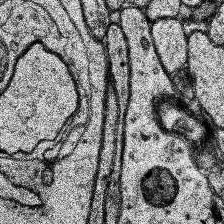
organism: Human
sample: Temporal Lobe